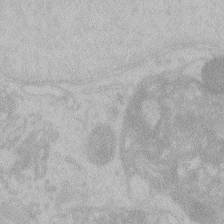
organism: Zebrafish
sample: Macrophage infected with Toxoplasma gondii